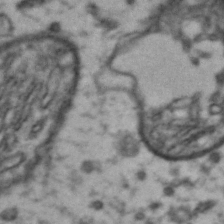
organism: Drosophila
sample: Brain